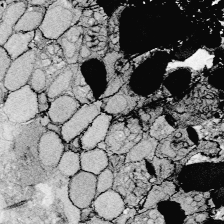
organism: Zebrafish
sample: Whole-Brain